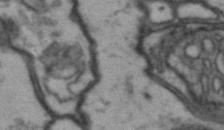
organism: Drosophila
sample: Brain